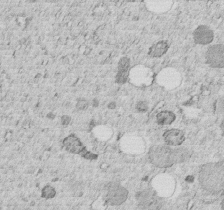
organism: C. elegans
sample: C. elegans embryo early stage